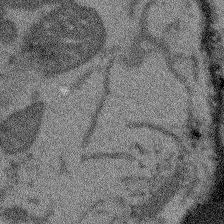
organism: Arabidopsis thaliana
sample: Root tip